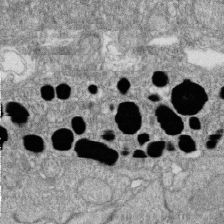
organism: Zebrafish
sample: Cilia; retinal pigment epithelium